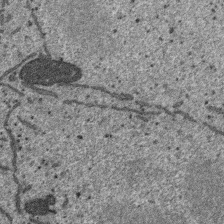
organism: Human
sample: Lung epithelial cells infected with SARS-CoV-2